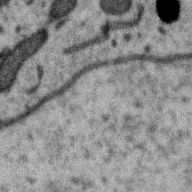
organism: Zebra finch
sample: Brain